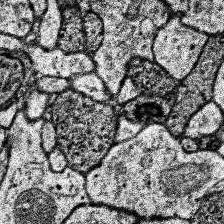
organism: Human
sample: Temporal Lobe